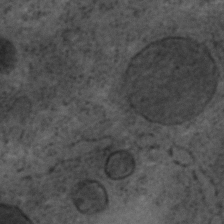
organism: C. elegans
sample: C. elegans embryo